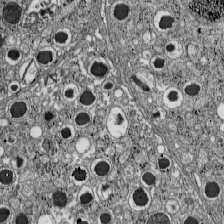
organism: C57BL Mouse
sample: Pancreatic islet